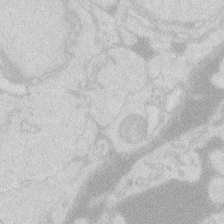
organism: Zebrafish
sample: Macrophage